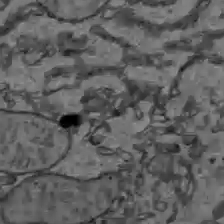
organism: C57BL Mouse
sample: Liver